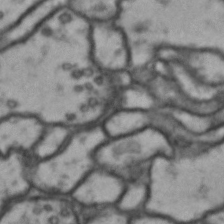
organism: Drosophila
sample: Brain